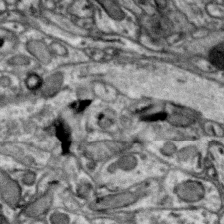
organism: Zebra finch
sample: Brain